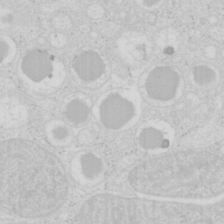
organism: Mouse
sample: Pancreas